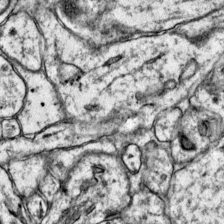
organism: Mouse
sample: Primary visual cortex